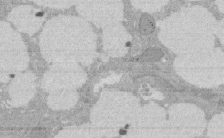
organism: Rat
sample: Salivary granule